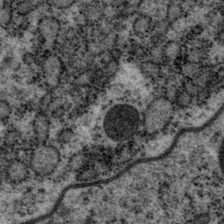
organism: P. pacificus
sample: Pharynx